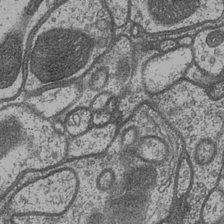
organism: Drosophila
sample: Optic medulla